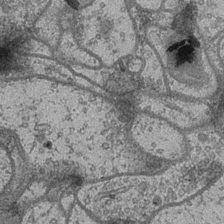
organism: Drosophila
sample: Optic medulla